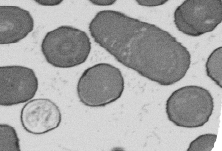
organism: B. subtilis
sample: Bacterial spore